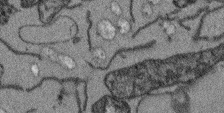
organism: Arabidopsis thaliana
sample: Root tip